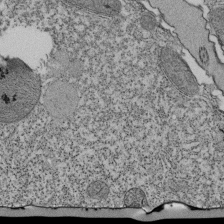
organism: Tetrahymena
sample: Cilia in tetrahymena